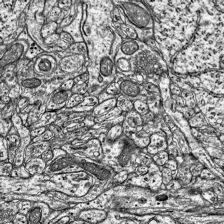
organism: Mouse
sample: Visual Cortex